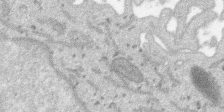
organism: Human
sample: Lung epithelial cells infected with SARS-CoV-2